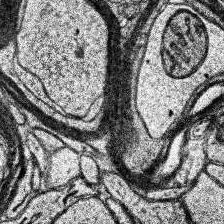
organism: Human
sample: Temporal Lobe